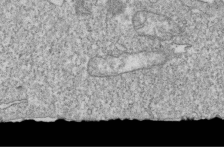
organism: Human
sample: HeLa cell HIV synapse